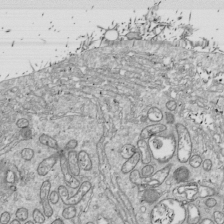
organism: Drosophila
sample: Cell division; meiosis; drosophila spermatocytes